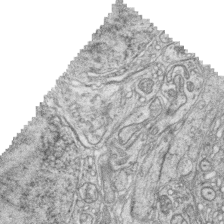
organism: Zebrafish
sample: synaptic ribbons in rod cells and cone cells